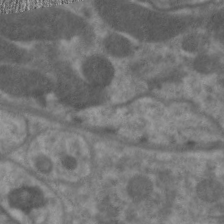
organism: C. elegans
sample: Pharynx